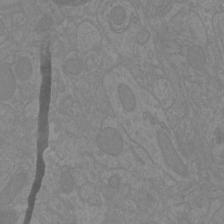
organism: Mouse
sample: Cortical neurons